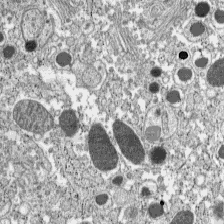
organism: C57BL Mouse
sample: Pancreatic islet